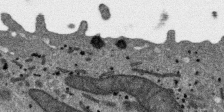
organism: Human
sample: Lung epithelial cells, uninfected (mock) control